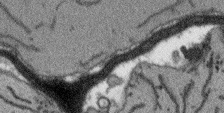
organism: Arabidopsis thaliana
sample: Root tip